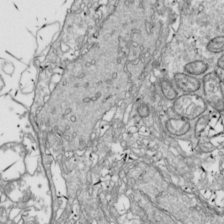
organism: Drosophila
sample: Cell division; meiosis; drosophila spermatocytes